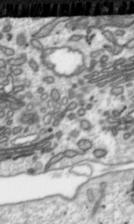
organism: Toxoplasma gondii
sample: Parasites in a vacuole inside a host cell